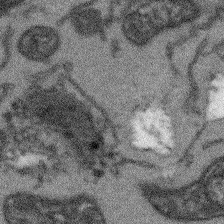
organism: Arabidopsis thaliana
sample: Root tip